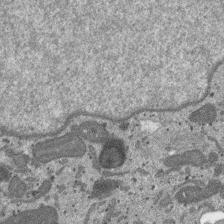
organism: Human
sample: Lung epithelial cells infected with SARS-CoV-2